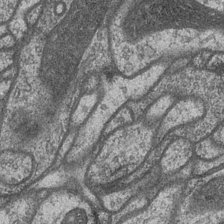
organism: Drosophila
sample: Optic medulla